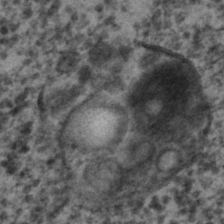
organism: C. elegans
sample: C. elegans embryo